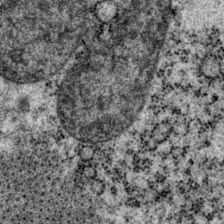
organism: P. pacificus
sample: Pharynx